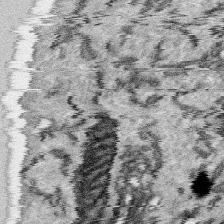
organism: Human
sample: HeLa cells